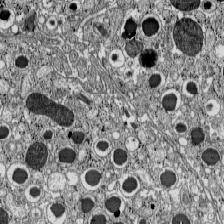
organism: C57BL Mouse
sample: Pancreatic islet